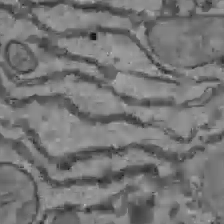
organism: C57BL Mouse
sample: Liver